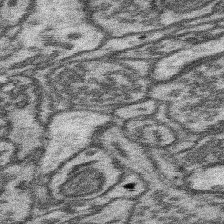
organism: Mouse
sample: Somatosensory cortex neuropil